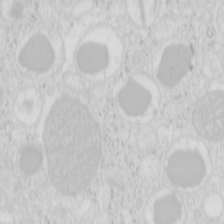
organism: Mouse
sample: Pancreas